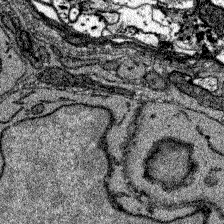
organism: Zebrafish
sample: Larval olfactory bulb